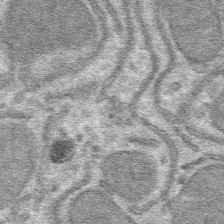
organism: Mouse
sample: Mouse hepatocytes